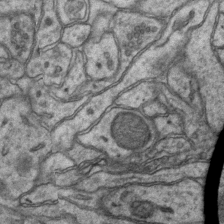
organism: Mouse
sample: CA1 Hippocampus